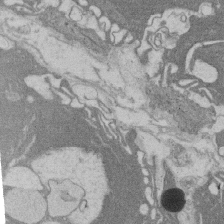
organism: Rat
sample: Salivary granule